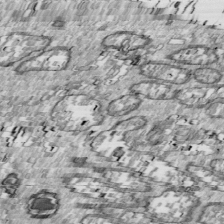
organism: Drosophila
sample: Cell division; meiosis; drosophila spermatocytes